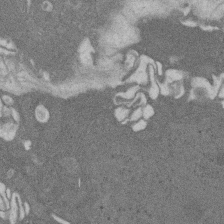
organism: Rat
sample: Salivary granule